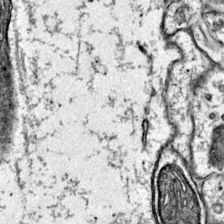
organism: Mouse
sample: Primary visual cortex